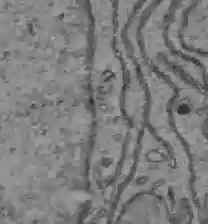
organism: C57BL Mouse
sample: Liver